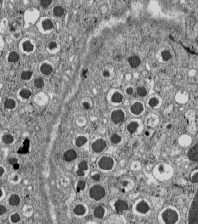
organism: C57BL Mouse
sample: Pancreatic islet